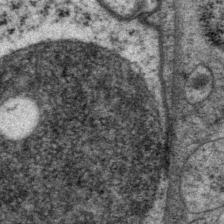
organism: P. pacificus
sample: Pharynx